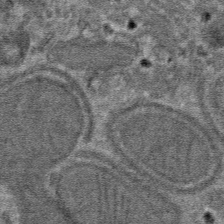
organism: Mouse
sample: Mouse hepatocytes